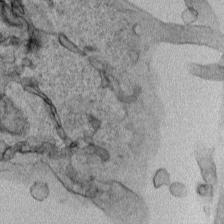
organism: Human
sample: Mitochondria in HCT116 cells